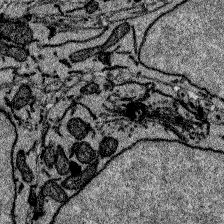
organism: Zebrafish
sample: Larval olfactory bulb